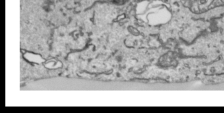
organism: Human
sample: Mitochondria in HCT116 cells